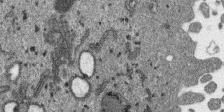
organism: Human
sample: Lung epithelial cells infected with SARS-CoV-2